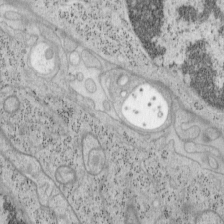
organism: Mouse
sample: OT-I killer T cells with ID8 ovarian cancer cells